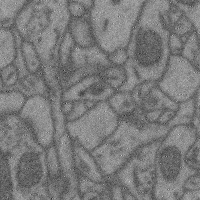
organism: Mouse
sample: Cerebral cortex